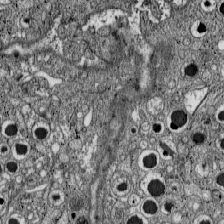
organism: C57BL Mouse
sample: Pancreatic islet